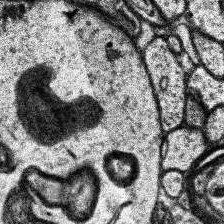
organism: Human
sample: Temporal Lobe